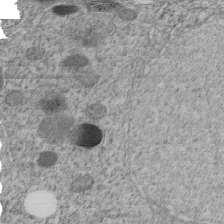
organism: C. elegans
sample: C. elegans embryo early stage